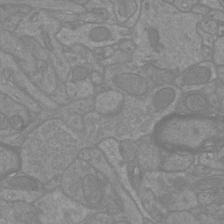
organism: Mouse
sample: Cortical neurons